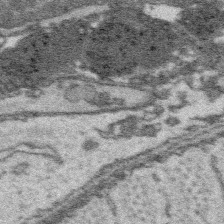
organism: Platynereis dumerilii